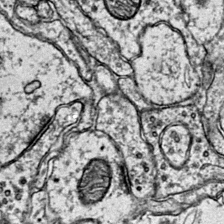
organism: Mouse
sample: Primary visual cortex